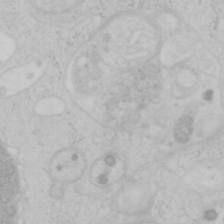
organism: Mouse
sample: OT-I killer T cells with ID8 ovarian cancer cells